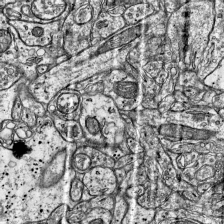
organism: Mouse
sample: Visual Cortex